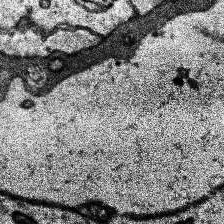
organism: Human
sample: Temporal Lobe